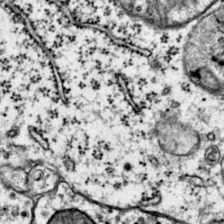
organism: Mouse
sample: Primary visual cortex